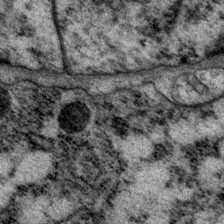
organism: P. pacificus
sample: Pharynx